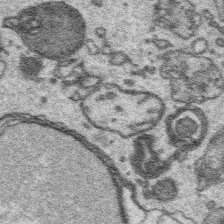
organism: Platynereis dumerilii